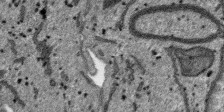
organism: Human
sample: Lung epithelial cells, uninfected (mock) control